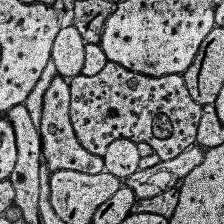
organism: Human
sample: Temporal Lobe